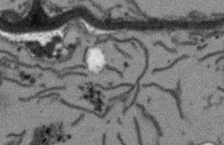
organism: Arabidopsis thaliana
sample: Root tip